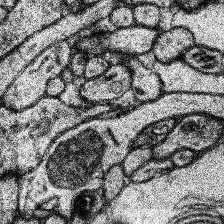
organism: Human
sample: Temporal Lobe